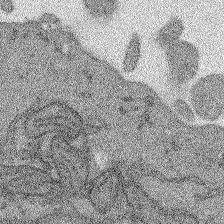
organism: Human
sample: HeLa cells